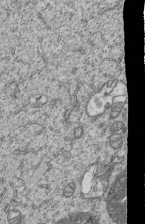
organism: Human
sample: MDA-MB-231 cells